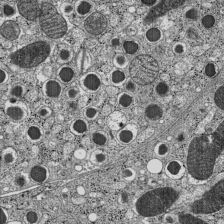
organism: C57BL Mouse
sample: Pancreatic islet